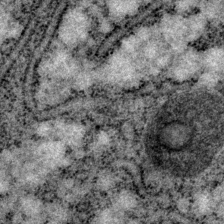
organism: P. pacificus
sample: Pharynx